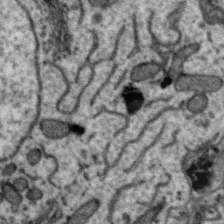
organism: Zebra finch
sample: Brain